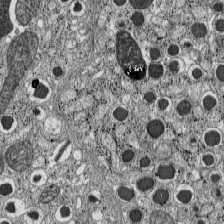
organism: C57BL Mouse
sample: Pancreatic islet